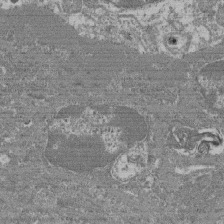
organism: Mouse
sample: Glomerulus